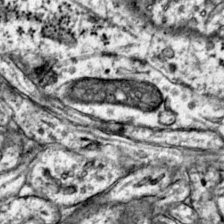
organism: Mouse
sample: Primary visual cortex